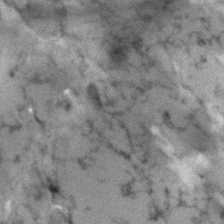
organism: Human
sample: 1205lu cells